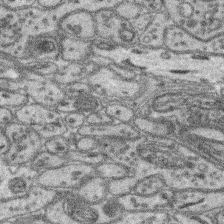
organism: Mouse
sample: Retina